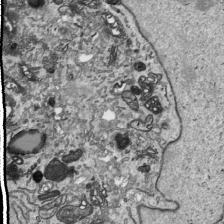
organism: Human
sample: Mitochondria in HCT116 cells